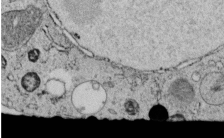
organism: C. elegans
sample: C. elegans embryo early stage